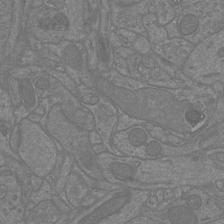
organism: Mouse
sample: Cortical neurons